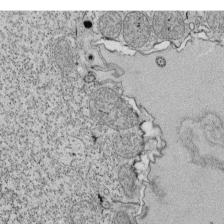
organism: Tetrahymena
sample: Cilia in tetrahymena